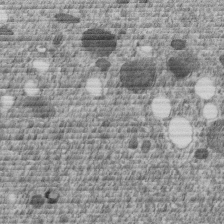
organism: C. elegans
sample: C. elegans embryo early stage